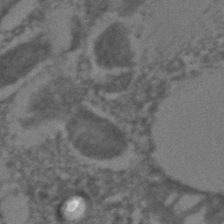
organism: C. elegans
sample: C. elegans embryo